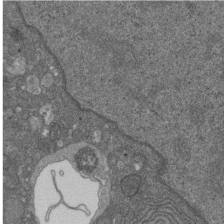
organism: Drosophila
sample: Nephrocyte